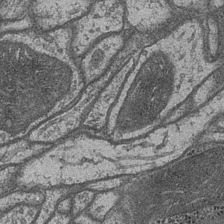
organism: Drosophila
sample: Optic medulla